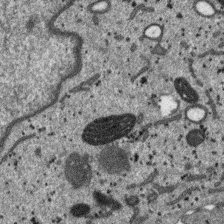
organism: Human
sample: Lung epithelial cells infected with SARS-CoV-2